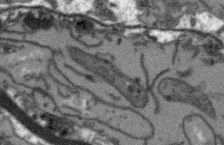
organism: Arabidopsis thaliana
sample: Root tip